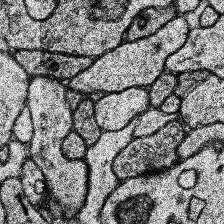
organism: Human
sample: Temporal Lobe